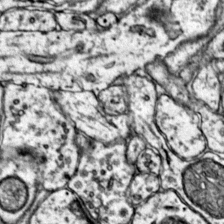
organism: Mouse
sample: Primary visual cortex